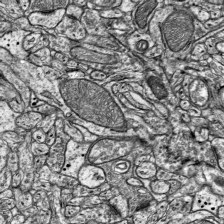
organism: Mouse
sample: Visual Cortex